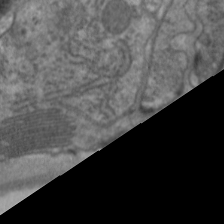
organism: C. elegans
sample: Pharynx